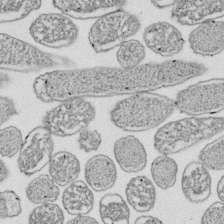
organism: E. coli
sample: Bacterial nucleoid